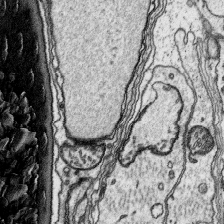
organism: Platynereis dumerilii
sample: Parapodia